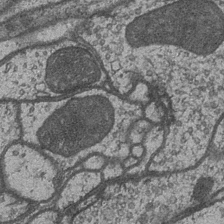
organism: Drosophila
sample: Optic medulla